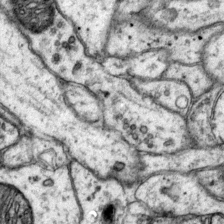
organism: Mouse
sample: Primary visual cortex